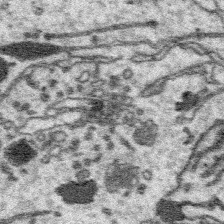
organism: Platynereis dumerilii